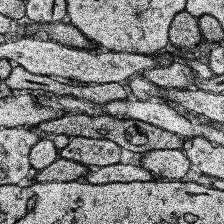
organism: Human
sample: Temporal Lobe